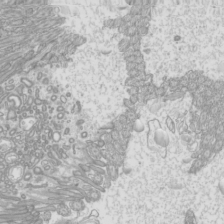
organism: Mouse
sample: Cilia; mouse epididymis